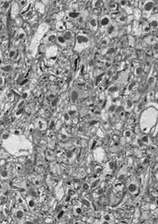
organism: Drosophila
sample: Optic lobe